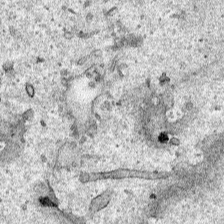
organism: Human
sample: Mitochondria in HCT116 cells